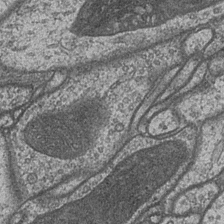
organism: Drosophila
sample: Optic medulla